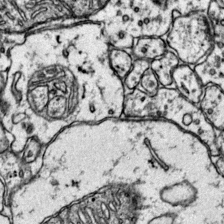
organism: Mouse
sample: Primary visual cortex